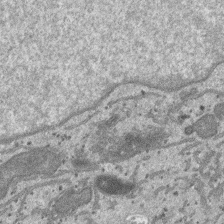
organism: Human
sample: Lung epithelial cells infected with SARS-CoV-2